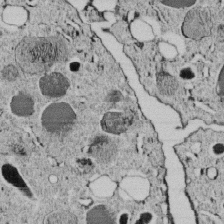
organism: C. elegans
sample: C. elegans embryo early stage